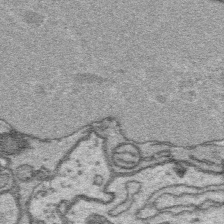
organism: Platynereis dumerilii